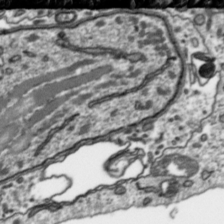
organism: Toxoplasma gondii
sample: Parasites in a vacuole inside a host cell